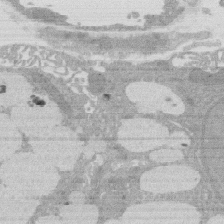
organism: Rat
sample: Salivary granule